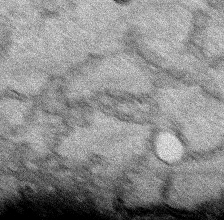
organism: Human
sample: Mitochondria in HCT116 cells